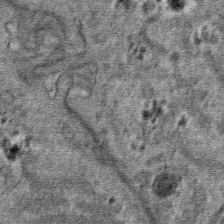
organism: Mouse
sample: Mouse hepatocytes